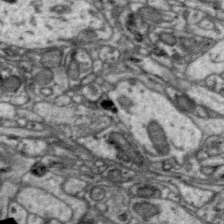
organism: Zebra finch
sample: Brain